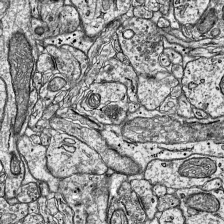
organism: Mouse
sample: Visual Cortex